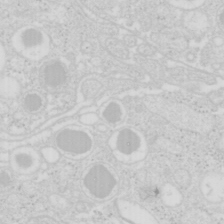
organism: Mouse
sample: Pancreas